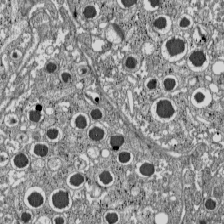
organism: C57BL Mouse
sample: Pancreatic islet